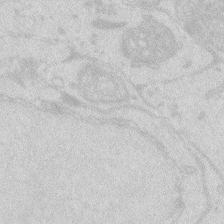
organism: Zebrafish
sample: Macrophage